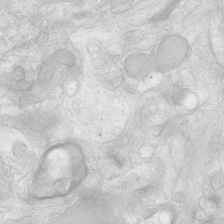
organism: Human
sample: Neocortex